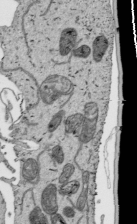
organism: Human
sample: Mitochondria in HCT116 cells